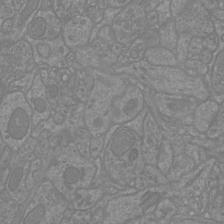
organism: Mouse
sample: Cortical neurons